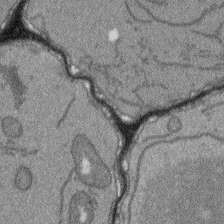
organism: Arabidopsis thaliana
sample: Root tip